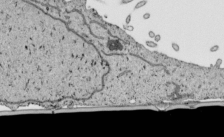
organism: Human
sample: Mitochondria in HCT116 cells